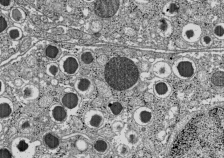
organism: C57BL Mouse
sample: Pancreatic islet